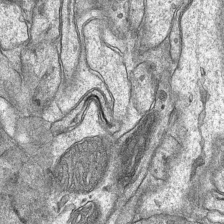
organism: Mouse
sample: CA1 Hippocampus